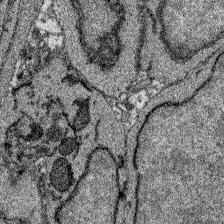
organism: Zebrafish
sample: Larval olfactory bulb